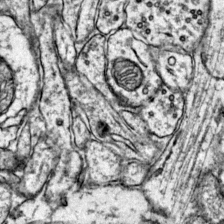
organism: Mouse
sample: Primary visual cortex